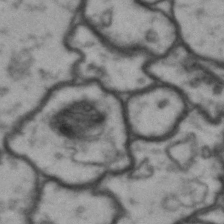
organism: Drosophila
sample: Brain